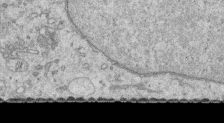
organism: Human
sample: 1205lu cells